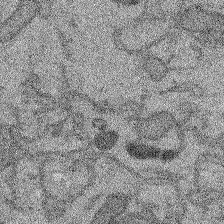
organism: Human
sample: HeLa cells